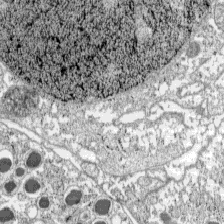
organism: C57BL Mouse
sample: Pancreatic islet